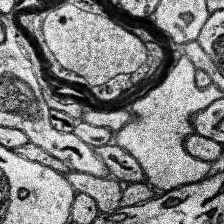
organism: Human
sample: Temporal Lobe